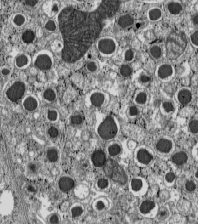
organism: C57BL Mouse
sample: Pancreatic islet